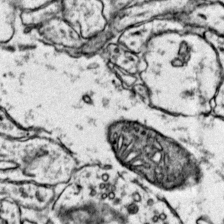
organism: Mouse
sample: Primary visual cortex